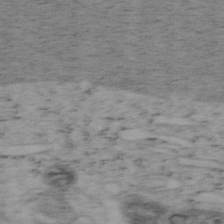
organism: Mouse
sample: OT-I killer T cells with ID8 ovarian cancer cells